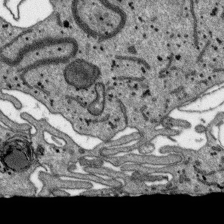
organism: Human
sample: Lung epithelial cells, uninfected (mock) control